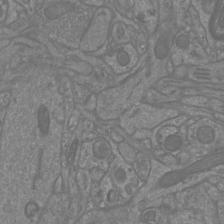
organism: Mouse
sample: Cortical neurons